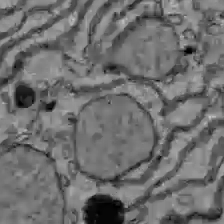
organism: C57BL Mouse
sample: Liver